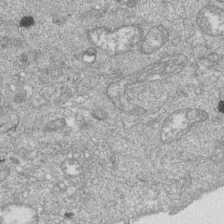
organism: Human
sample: HeLa cell HIV synapse